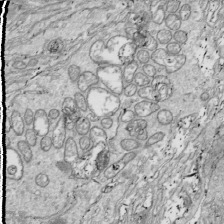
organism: Drosophila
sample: Cell division; meiosis; drosophila spermatocytes